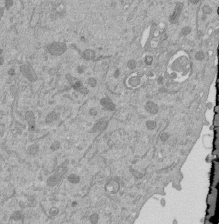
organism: Mouse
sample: ED-1 cell nuclei; centrioles